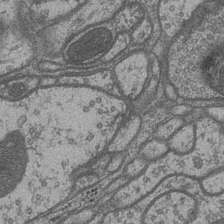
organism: Drosophila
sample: Optic medulla